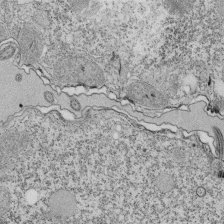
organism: Tetrahymena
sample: Cilia in tetrahymena